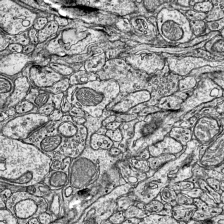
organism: Mouse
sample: Visual Cortex